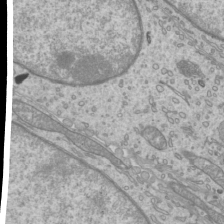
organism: Mouse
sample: Cilia; mouse epididymis